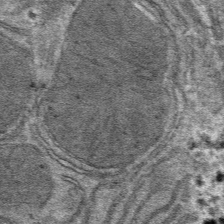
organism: Mouse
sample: Mouse hepatocytes